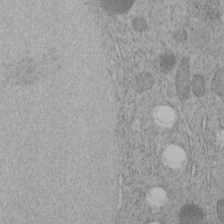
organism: C. elegans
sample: C. elegans embryo early stage